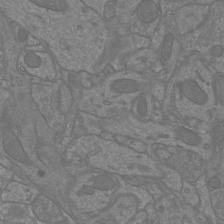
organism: Mouse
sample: Cortical neurons